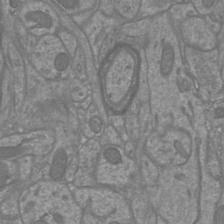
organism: Mouse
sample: Cortical neurons